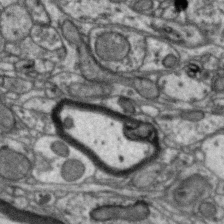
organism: Zebra finch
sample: Brain